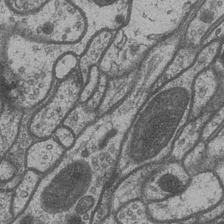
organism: Drosophila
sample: Optic medulla